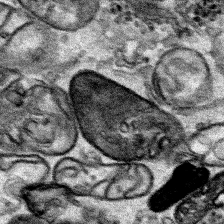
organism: Human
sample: Mitochondria in HCT116 cells